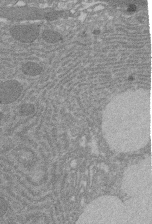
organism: Rat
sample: Salivary granule